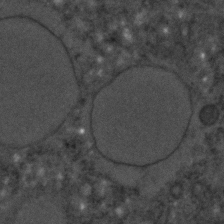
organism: C. elegans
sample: C. elegans embryo